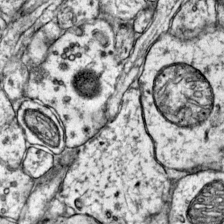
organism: Mouse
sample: Primary visual cortex